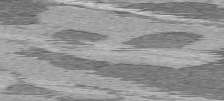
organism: C57BL Mouse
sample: Heart